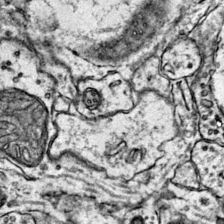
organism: Mouse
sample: Primary visual cortex